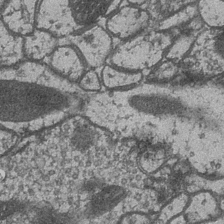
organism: Drosophila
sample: Optic medulla